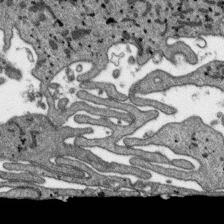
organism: Human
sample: Lung epithelial cells, uninfected (mock) control